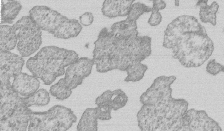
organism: Human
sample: MDA-MB-231 cells